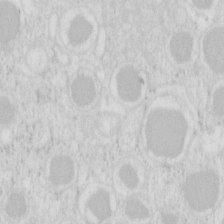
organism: Mouse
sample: Pancreas